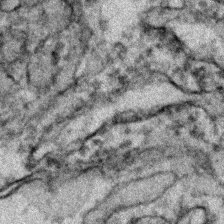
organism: Zebrafish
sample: Zebrafish embryo